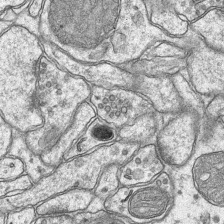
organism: Mouse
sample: CA1 Hippocampus